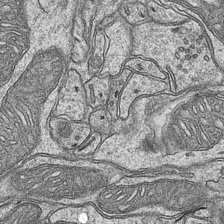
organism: Mouse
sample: CA1 Hippocampus